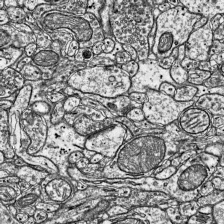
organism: Mouse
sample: Visual Cortex